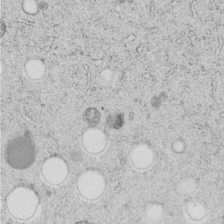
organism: C. elegans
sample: C. elegans embryo early stage